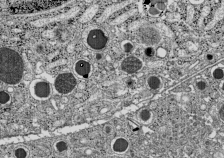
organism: C57BL Mouse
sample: Pancreatic islet